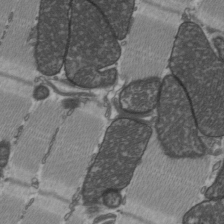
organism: C57BL Mouse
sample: Heart